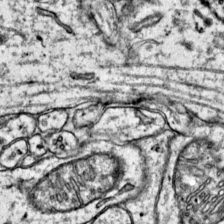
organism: Mouse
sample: Primary visual cortex